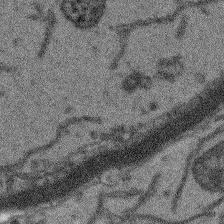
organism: Arabidopsis thaliana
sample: Root tip